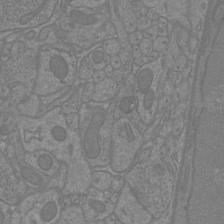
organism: Mouse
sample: Cortical neurons